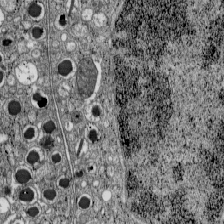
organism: C57BL Mouse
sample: Pancreatic islet